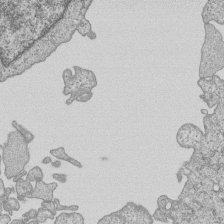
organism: Human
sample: MDA-MB-231 cells